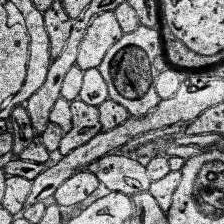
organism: Human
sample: Temporal Lobe